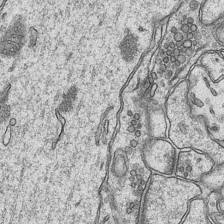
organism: Mouse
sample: CA1 Hippocampus